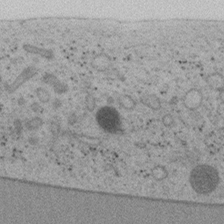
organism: Human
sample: HeLa cells